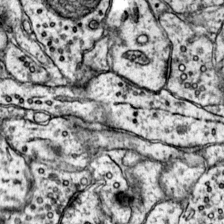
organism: Mouse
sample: Primary visual cortex